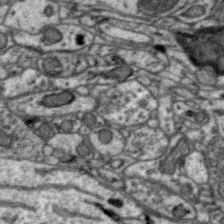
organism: Zebra finch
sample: Brain